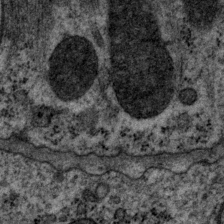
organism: P. pacificus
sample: Pharynx